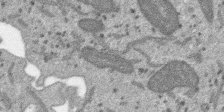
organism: Human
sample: Lung epithelial cells infected with SARS-CoV-2